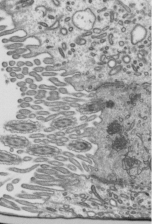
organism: Mouse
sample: Mouse epididymis efferent ductule cilia